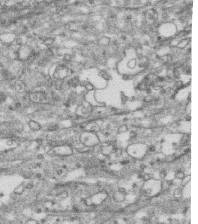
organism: Human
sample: CRL-1474